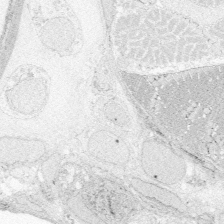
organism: Zebrafish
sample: Whole-Brain